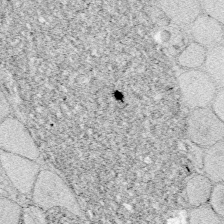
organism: Zebrafish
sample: Whole-Brain